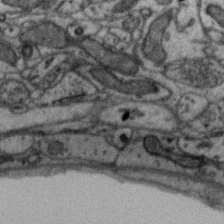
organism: Zebra finch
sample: Brain